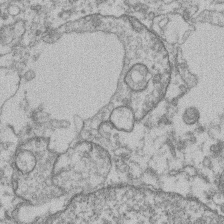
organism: Mouse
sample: T cell stromal cell synapse